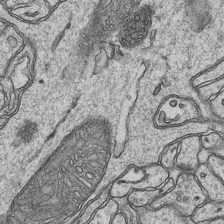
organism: Mouse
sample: CA1 Hippocampus